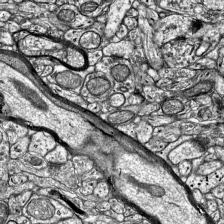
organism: Mouse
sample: Visual Cortex